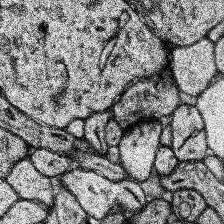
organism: Human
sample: Temporal Lobe